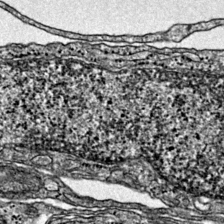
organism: Mouse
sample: Primary visual cortex